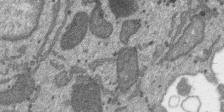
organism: Human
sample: Lung epithelial cells infected with SARS-CoV-2